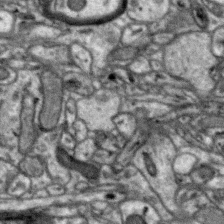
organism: Zebra finch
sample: Brain